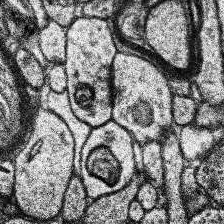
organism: Human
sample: Temporal Lobe